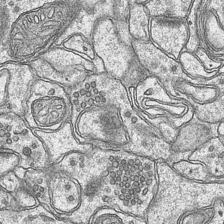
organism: Mouse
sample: CA1 Hippocampus